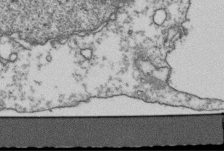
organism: Human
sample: Activated Jurkat CD4+ T cells